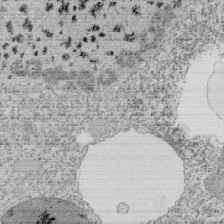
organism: Tetrahymena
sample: Cilia in tetrahymena